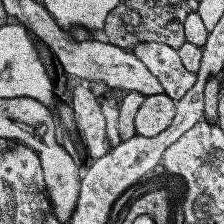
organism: Human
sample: Temporal Lobe